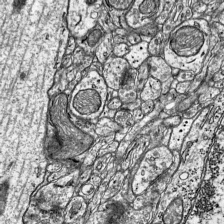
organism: Mouse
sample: Visual Cortex